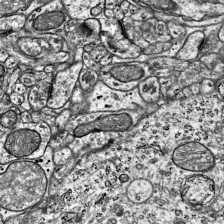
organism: Mouse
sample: Visual Cortex